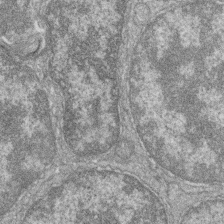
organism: Zebrafish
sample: Cilia; retinal pigment epithelium